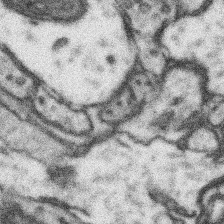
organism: Mouse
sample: Somatosensory cortex neuropil